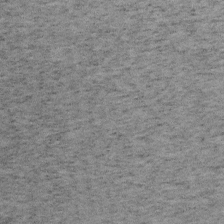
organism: Mouse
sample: OT-I killer T cells with ID8 ovarian cancer cells